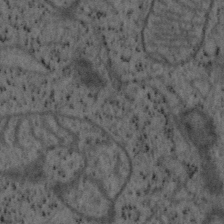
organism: Human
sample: HeLa cells